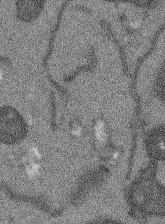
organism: Arabidopsis thaliana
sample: Root tip